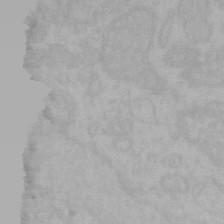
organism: Mouse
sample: Choroid plexus